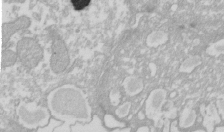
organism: Xenopus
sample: Cilia; centrioles in frog embryo cells